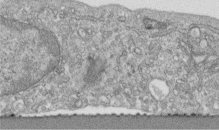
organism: Human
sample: Centriole in fibroblast cells